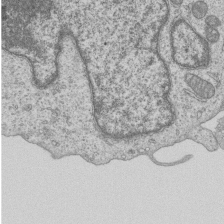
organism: Human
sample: MDA-MB-231 cells